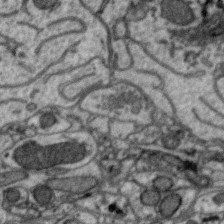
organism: Zebra finch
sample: Brain